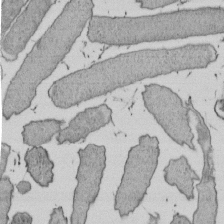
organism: E. coli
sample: Bacterial nucleoid